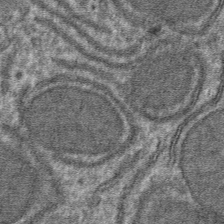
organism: Mouse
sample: Mouse hepatocytes